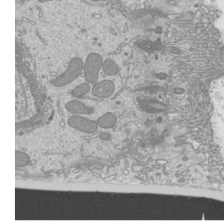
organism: Mouse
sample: Cilia; mouse epididymis